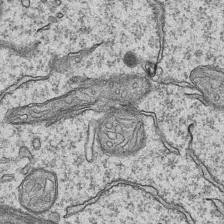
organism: Mouse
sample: CA1 Hippocampus